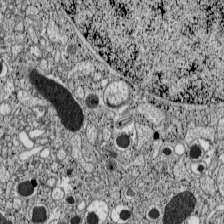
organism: C57BL Mouse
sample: Pancreatic islet